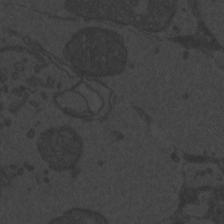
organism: Zebrafish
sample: Macrophage infected with Toxoplasma gondii